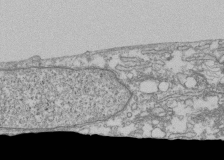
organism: Human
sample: Fibroblast cells